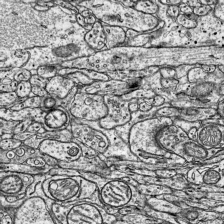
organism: Mouse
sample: Visual Cortex